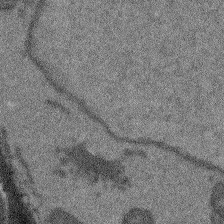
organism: Arabidopsis thaliana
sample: Root tip